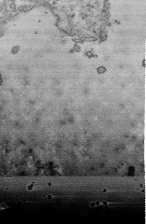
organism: Human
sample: Activated Jurkat CD4+ T cells